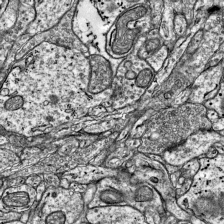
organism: Mouse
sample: Visual Cortex